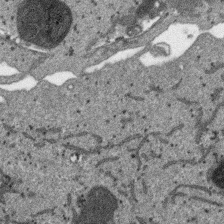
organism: Human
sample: Lung epithelial cells infected with SARS-CoV-2